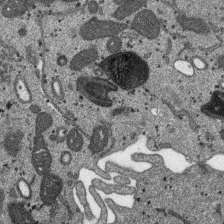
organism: Human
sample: Lung epithelial cells infected with SARS-CoV-2